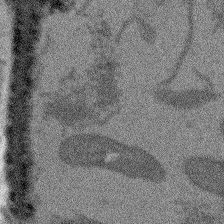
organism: Arabidopsis thaliana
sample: Root tip